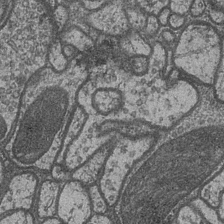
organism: Drosophila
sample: Optic medulla